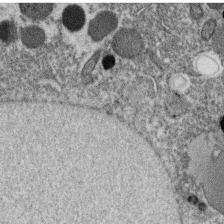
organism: C. elegans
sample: C. elegans oocyte; sperm cells